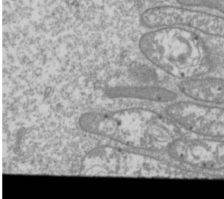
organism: Drosophila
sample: Cell division; meiosis; drosophila spermatocytes